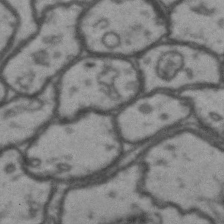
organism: Drosophila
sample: Brain